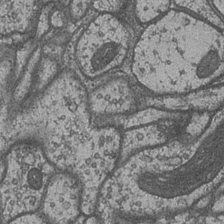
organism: Drosophila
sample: Optic medulla